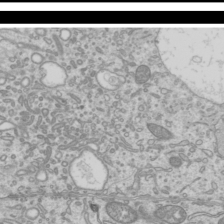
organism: Mouse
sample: Cilia; mouse epididymis